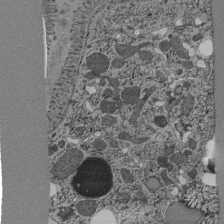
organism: C. elegans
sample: C. elegans pharynx